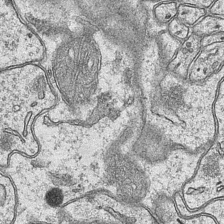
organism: Mouse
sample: CA1 Hippocampus